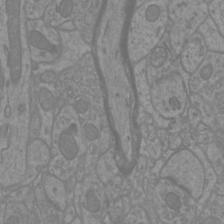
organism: Mouse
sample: Cortical neurons